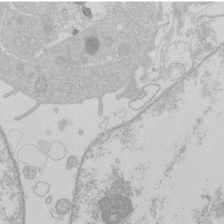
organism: Human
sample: Macrophage cells